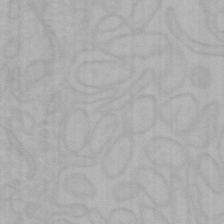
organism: Mouse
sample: Choroid plexus